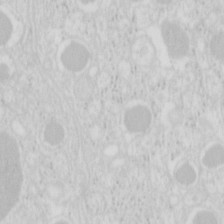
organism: Mouse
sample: Pancreas